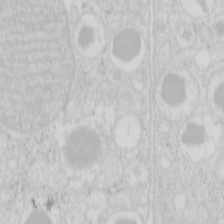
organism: Mouse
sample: Pancreas